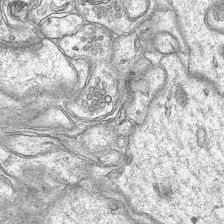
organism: Mouse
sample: CA1 Hippocampus